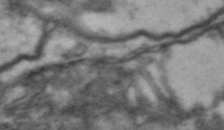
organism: Drosophila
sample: Brain